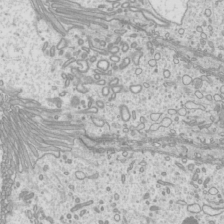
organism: Mouse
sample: Cilia; mouse epididymis